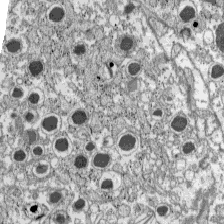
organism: C57BL Mouse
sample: Pancreatic islet